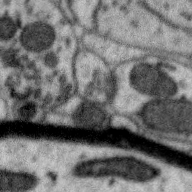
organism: Zebra finch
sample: Brain